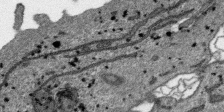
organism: Human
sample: Lung epithelial cells, uninfected (mock) control